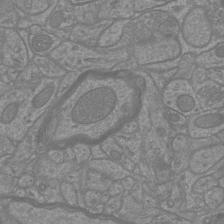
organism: Mouse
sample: Cortical neurons